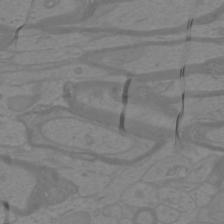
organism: Mouse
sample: Cortical neurons